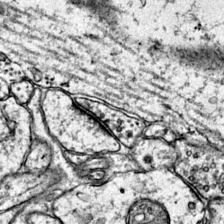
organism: Mouse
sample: Primary visual cortex